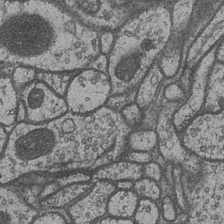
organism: Drosophila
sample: Optic medulla